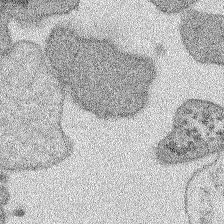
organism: Human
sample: HeLa cells